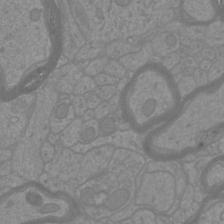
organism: Mouse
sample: Cortical neurons